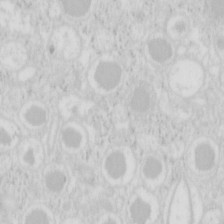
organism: Mouse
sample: Pancreas